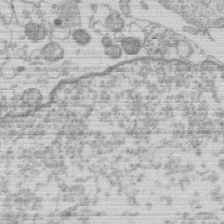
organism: Human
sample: Macrophage cells